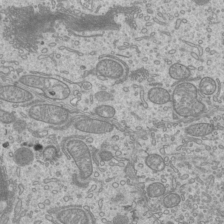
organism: Mouse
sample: Cilia; mouse epididymis